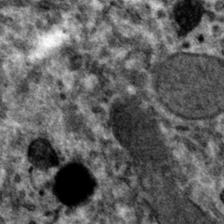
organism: Mouse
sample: Mouse hepatocytes